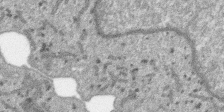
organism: Human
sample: Lung epithelial cells infected with SARS-CoV-2